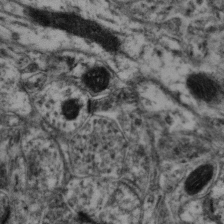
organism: Mouse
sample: Neocortex